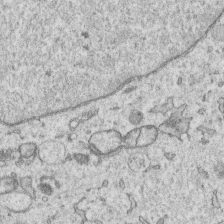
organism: Human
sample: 1205lu cells